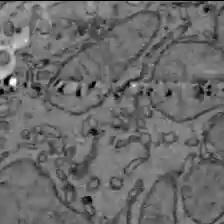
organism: C57BL Mouse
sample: Liver